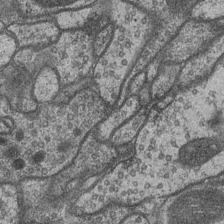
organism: Drosophila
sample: Optic medulla